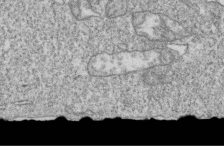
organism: Human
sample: HeLa cell HIV synapse